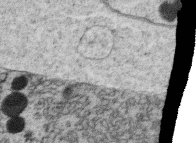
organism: C. elegans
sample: C. elegans oocyte; sperm cells